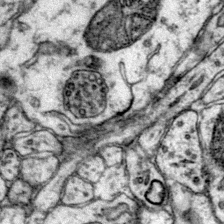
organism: Mouse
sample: Primary visual cortex